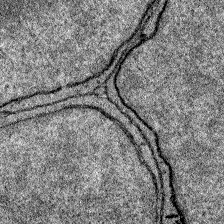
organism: Zebrafish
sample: Larval olfactory bulb